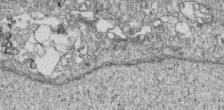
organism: Human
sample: HeLa cell HIV synapse